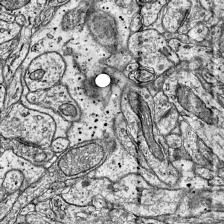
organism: Mouse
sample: Visual Cortex